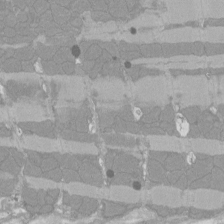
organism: Rat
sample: Left ventricle